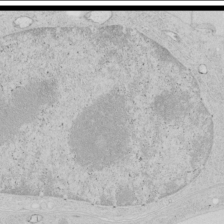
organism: Human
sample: Mitochondria in HCT116 cells